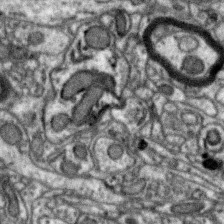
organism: Zebra finch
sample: Brain